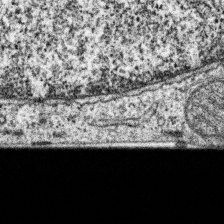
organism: Human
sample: HeLa cells